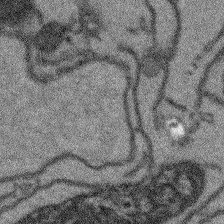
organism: Arabidopsis thaliana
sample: Root tip